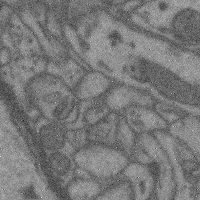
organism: Mouse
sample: Cerebral cortex